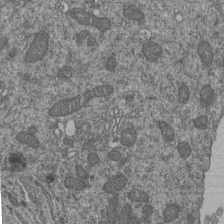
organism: Human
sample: Retinal organoid Rod and Cone cells